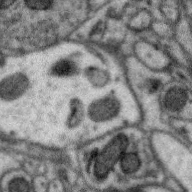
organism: Zebra finch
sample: Brain